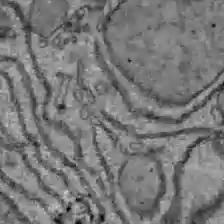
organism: C57BL Mouse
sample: Liver